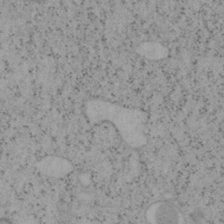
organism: Mouse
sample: OT-I killer T cells with ID8 ovarian cancer cells